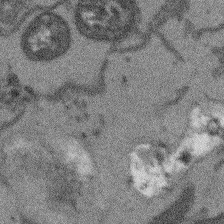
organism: Arabidopsis thaliana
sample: Root tip